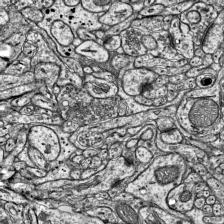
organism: Mouse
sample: Visual Cortex